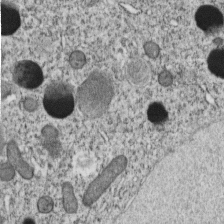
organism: C. elegans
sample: C. elegans embryo early stage